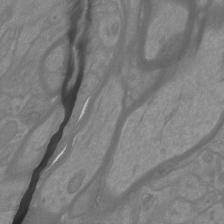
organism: Mouse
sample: Cortical neurons